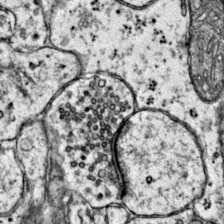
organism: Mouse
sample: Primary visual cortex